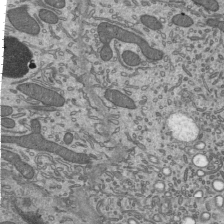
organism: Mouse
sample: Mouse epididymis efferent ductule cilia